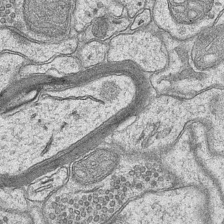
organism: Mouse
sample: CA1 Hippocampus